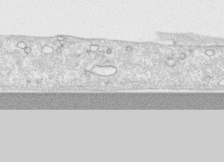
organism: Human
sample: CRL-1474